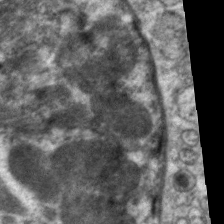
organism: C. elegans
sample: Pharynx